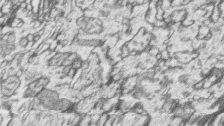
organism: Zebrafish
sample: synaptic ribbons in rod cells and cone cells